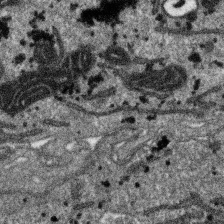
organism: Human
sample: Lung epithelial cells infected with SARS-CoV-2